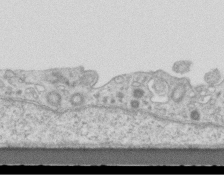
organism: Mouse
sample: Centriole in ependymal cells